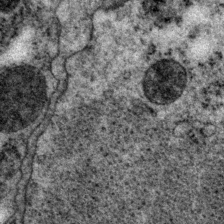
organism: P. pacificus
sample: Pharynx